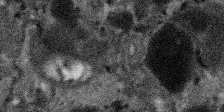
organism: Human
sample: Lung epithelial cells infected with SARS-CoV-2